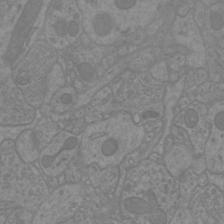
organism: Mouse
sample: Cortical neurons